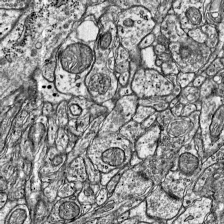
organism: Mouse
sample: Visual Cortex